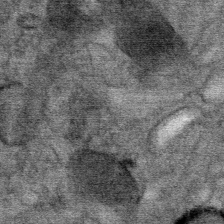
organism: Mouse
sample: Mouse Salivary gland